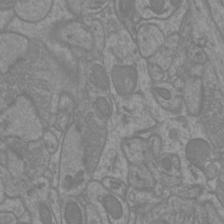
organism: Mouse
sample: Cortical neurons